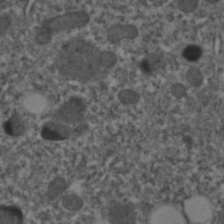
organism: C. elegans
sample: C. elegans embryo